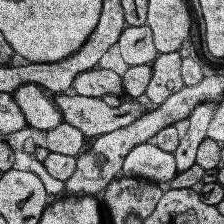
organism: Human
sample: Temporal Lobe